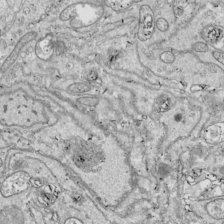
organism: Drosophila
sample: Cell division; meiosis; drosophila spermatocytes